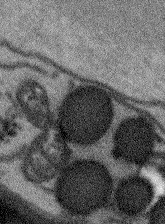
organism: Arabidopsis thaliana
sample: Root tip